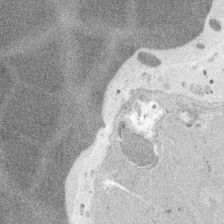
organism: Embia sp.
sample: Silk gland